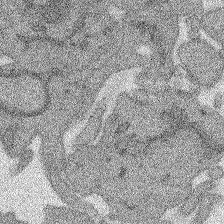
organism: Human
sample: HeLa cells